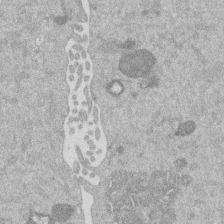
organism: Mouse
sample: Dividing mouse embryo 1 cell stage